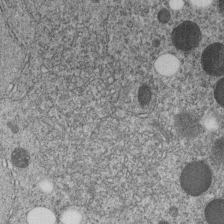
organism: C. elegans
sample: C. elegans embryo early stage